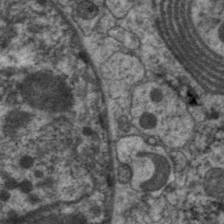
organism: C. elegans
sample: Pharynx